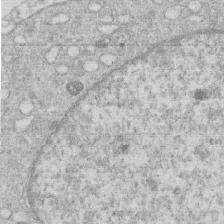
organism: Human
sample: Macrophage cells